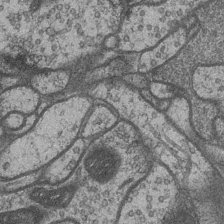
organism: Drosophila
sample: Optic medulla